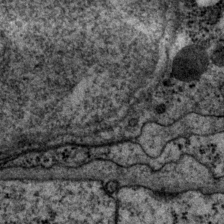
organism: P. pacificus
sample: Pharynx